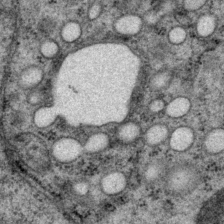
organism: P. pacificus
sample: Pharynx